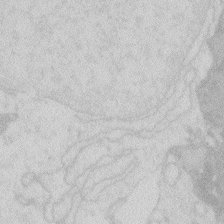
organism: Zebrafish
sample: Macrophage